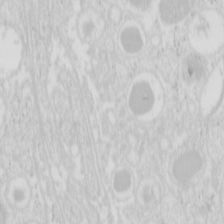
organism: Mouse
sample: Pancreas